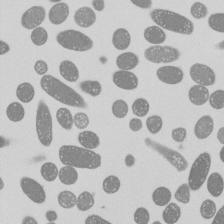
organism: E. coli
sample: Bacterial nucleoid